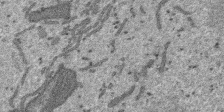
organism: Human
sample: Lung epithelial cells infected with SARS-CoV-2